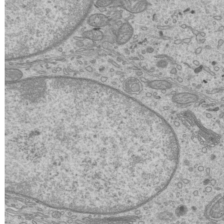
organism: Mouse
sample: Cilia; mouse epididymis